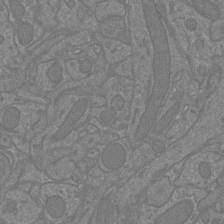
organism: Mouse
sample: Cortical neurons